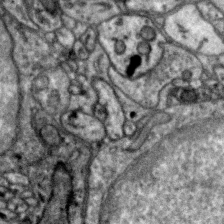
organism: Zebra finch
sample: Brain